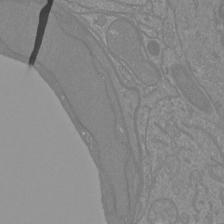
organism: Mouse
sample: Cortical neurons